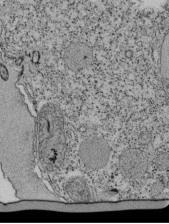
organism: Tetrahymena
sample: Cilia in tetrahymena